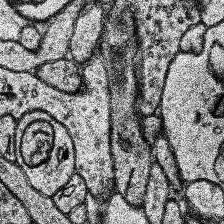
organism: Human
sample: Temporal Lobe